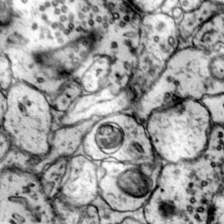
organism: Mouse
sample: Primary visual cortex